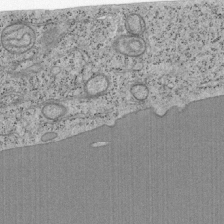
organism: Human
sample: HeLa cells